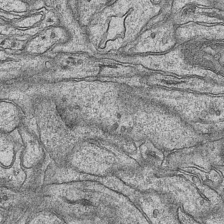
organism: Mouse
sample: CA1 Hippocampus